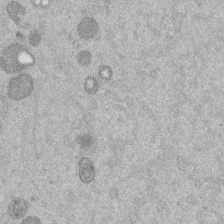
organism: Mouse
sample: Dividing mouse embryo 1 cell stage